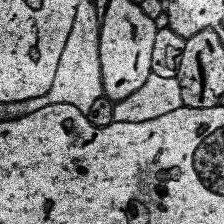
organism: Human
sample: Temporal Lobe